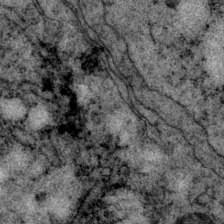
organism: P. pacificus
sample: Pharynx